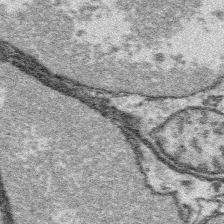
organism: Platynereis dumerilii